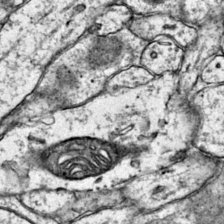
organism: Mouse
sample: Primary visual cortex